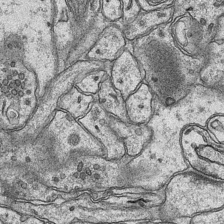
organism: Mouse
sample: CA1 Hippocampus